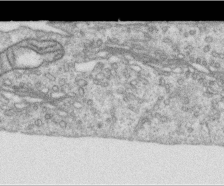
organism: Human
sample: Centriole in RPE cells